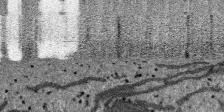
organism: Human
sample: Lung epithelial cells, uninfected (mock) control